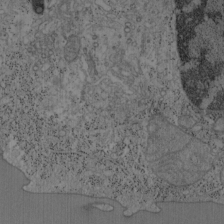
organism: Mouse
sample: OT-I killer T cells with ID8 ovarian cancer cells